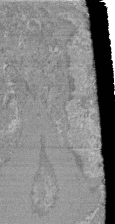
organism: Mouse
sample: Glomerulus